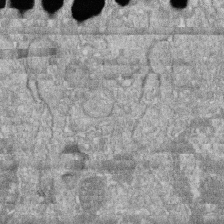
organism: Zebrafish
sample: Cilia; retinal pigment epithelium